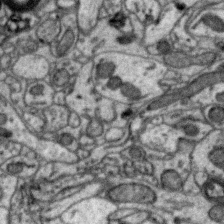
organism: Zebra finch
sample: Brain